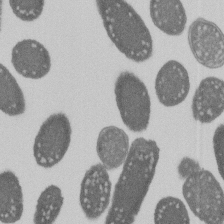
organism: E. coli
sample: Bacterial nucleoid